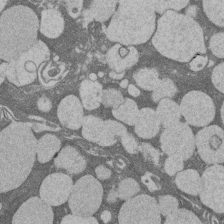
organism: Rat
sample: Salivary granule